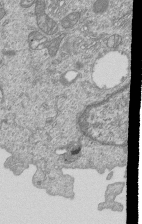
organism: Human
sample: MDA-MB-231 cells